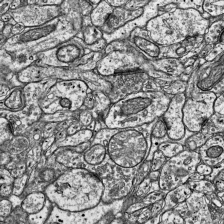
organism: Mouse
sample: Visual Cortex